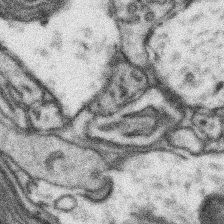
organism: Mouse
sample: Somatosensory cortex neuropil